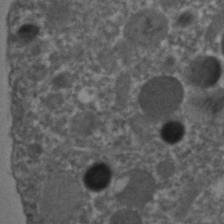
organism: C. elegans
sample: C. elegans embryo